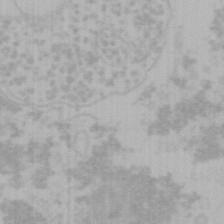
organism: Mouse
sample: Choroid plexus